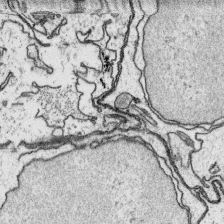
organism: Platynereis dumerilii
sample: Parapodia